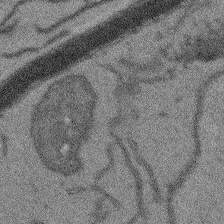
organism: Arabidopsis thaliana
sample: Root tip